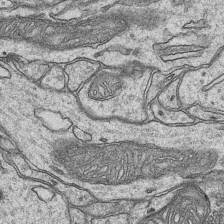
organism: Mouse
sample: CA1 Hippocampus